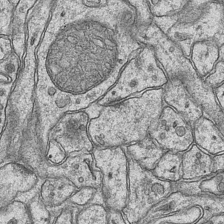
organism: Mouse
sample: CA1 Hippocampus